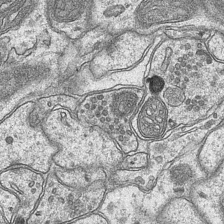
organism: Mouse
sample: CA1 Hippocampus